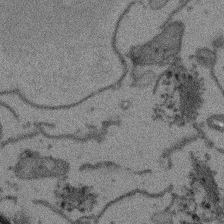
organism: Arabidopsis thaliana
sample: Root tip